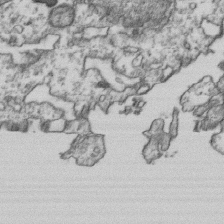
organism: Human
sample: Activated Jurkat CD4+ T cells